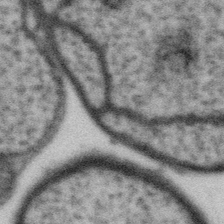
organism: Gemmata obscuriglobus